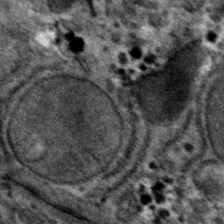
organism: Mouse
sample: Mouse hepatocytes